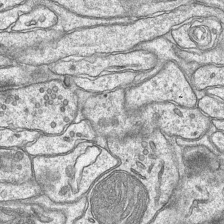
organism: Mouse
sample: CA1 Hippocampus